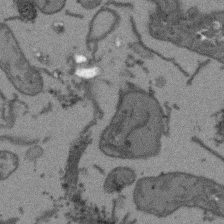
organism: Arabidopsis thaliana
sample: Root tip